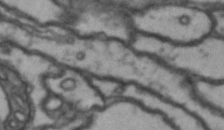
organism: Drosophila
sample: Brain